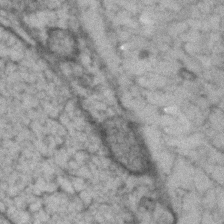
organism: Human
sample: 1205lu cells